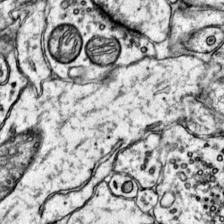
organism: Mouse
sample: Primary visual cortex